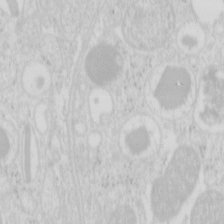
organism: Mouse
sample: Pancreas